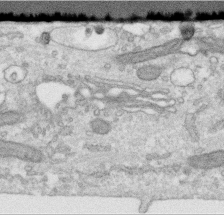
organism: Human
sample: Centriole in RPE cells